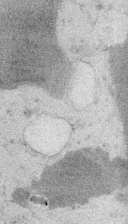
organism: Embia sp.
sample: Silk gland